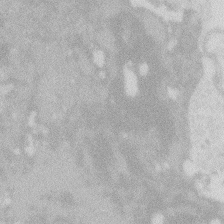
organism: Zebrafish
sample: Macrophage